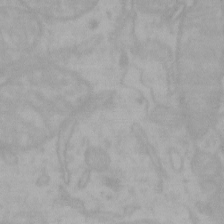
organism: Mouse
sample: Choroid plexus